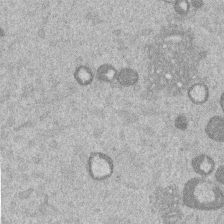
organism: Mouse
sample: Dividing mouse embryo 1 cell stage